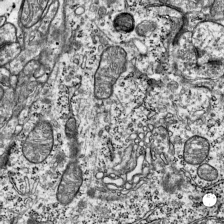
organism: Mouse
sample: Visual Cortex